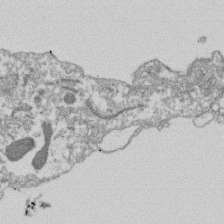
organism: Dictyostelium discoideum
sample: Dictyostelium multivesicular bodies